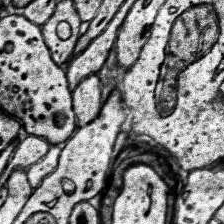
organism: Human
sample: Temporal Lobe